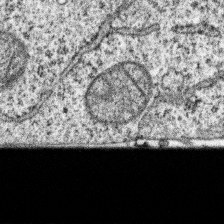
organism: Human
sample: HeLa cells